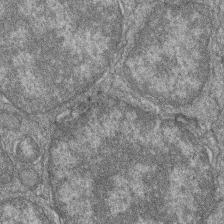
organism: Zebrafish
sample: Cilia; retinal pigment epithelium